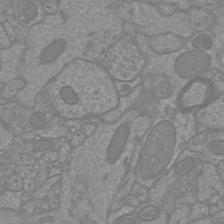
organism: Mouse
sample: Cortical neurons